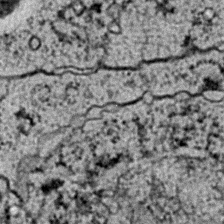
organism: C. elegans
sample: C. elegans embryo